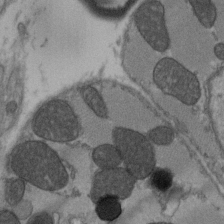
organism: C57BL Mouse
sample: Heart